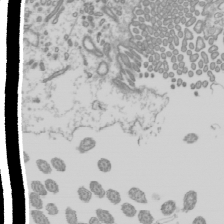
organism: Mouse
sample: Cilia; mouse epididymis